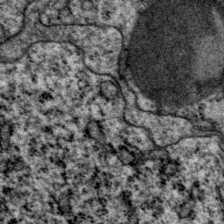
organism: P. pacificus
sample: Pharynx